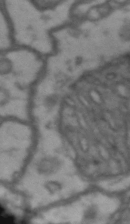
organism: Drosophila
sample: Brain